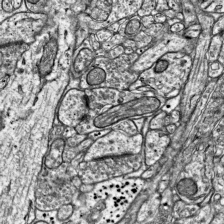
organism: Mouse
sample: Visual Cortex